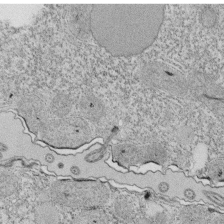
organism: Tetrahymena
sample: Cilia in tetrahymena